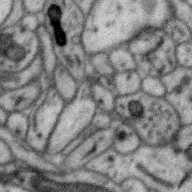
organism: Zebra finch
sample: Brain